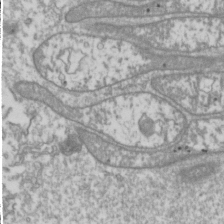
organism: Drosophila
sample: Cell division; meiosis; drosophila spermatocytes